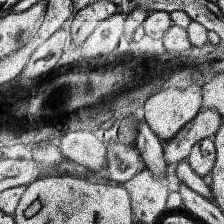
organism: Human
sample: Temporal Lobe